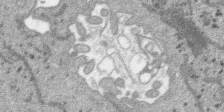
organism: Human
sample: Lung epithelial cells infected with SARS-CoV-2